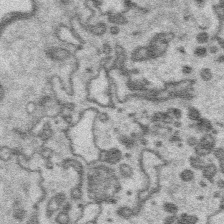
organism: Platynereis dumerilii